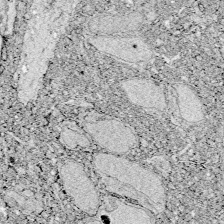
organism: Zebrafish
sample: Whole-Brain